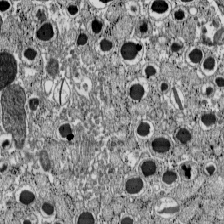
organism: C57BL Mouse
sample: Pancreatic islet